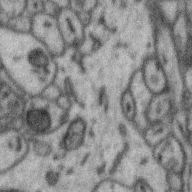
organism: Zebra finch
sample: Brain